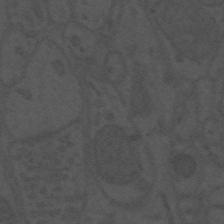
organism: Mouse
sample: Suprachiasmatic nucleus